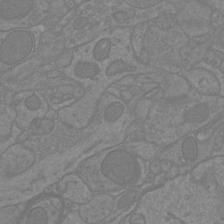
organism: Mouse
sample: Cortical neurons